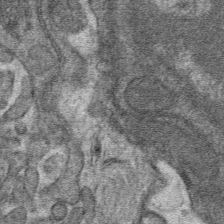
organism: Mouse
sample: Mouse hepatocytes